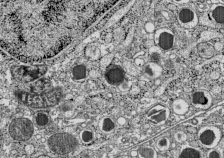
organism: C57BL Mouse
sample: Pancreatic islet